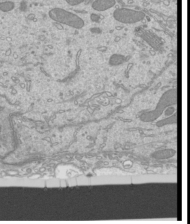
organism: Mouse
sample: Cilia; mouse epididymis